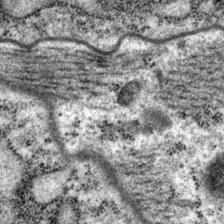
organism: P. pacificus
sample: Pharynx